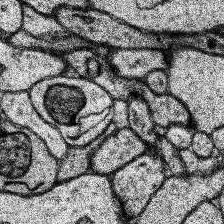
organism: Human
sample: Temporal Lobe